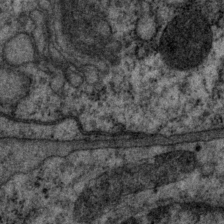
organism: P. pacificus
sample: Pharynx